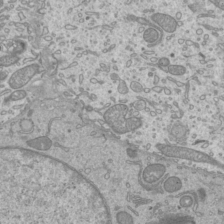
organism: Mouse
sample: Cilia; mouse epididymis